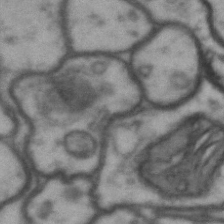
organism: Drosophila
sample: Brain